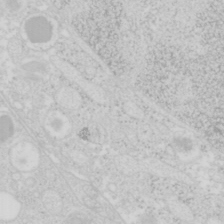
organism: Mouse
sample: Pancreas